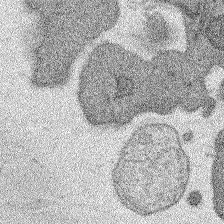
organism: Human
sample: HeLa cells